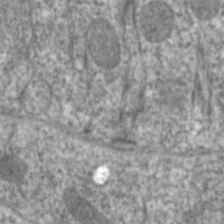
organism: C. elegans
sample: Pharynx